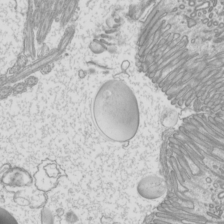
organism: Mouse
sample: Cilia; mouse epididymis